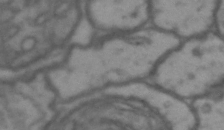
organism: Drosophila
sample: Brain